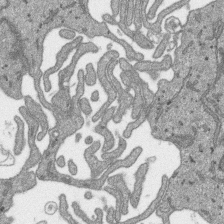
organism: Human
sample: Lung epithelial cells infected with SARS-CoV-2